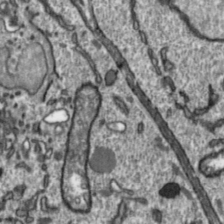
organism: Toxoplasma gondii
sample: Parasites in a vacuole inside a host cell